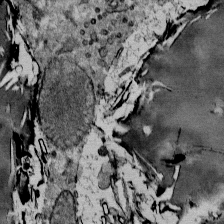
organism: Mouse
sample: Mouse Salivary gland